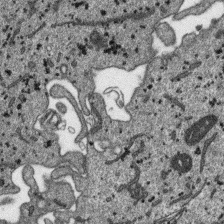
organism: Human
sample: Lung epithelial cells infected with SARS-CoV-2